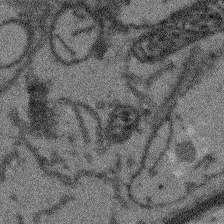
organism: Arabidopsis thaliana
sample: Root tip